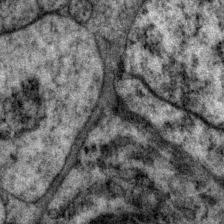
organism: P. pacificus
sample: Pharynx